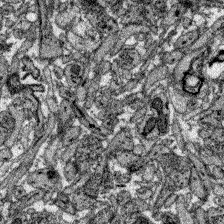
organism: Zebrafish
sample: Larval olfactory bulb